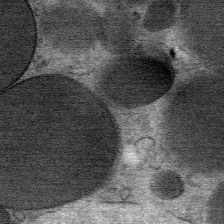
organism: Mouse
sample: Mouse Salivary gland